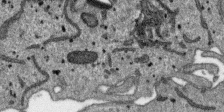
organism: Human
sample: Lung epithelial cells, uninfected (mock) control